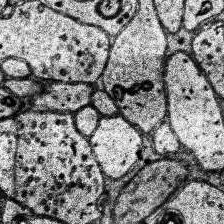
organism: Human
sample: Temporal Lobe